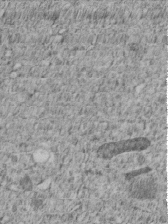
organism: C. elegans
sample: C. elegans embryo early stage